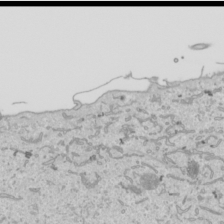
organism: Human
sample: Mitochondria in HCT116 cells